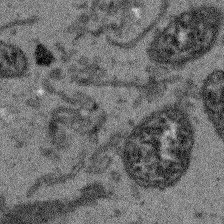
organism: Arabidopsis thaliana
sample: Root tip